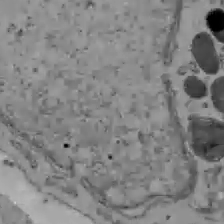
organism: C57BL Mouse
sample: Liver